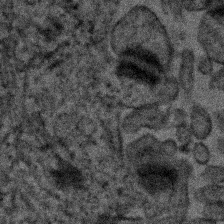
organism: Human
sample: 1205lu cells